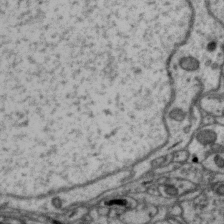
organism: Zebra finch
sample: Brain